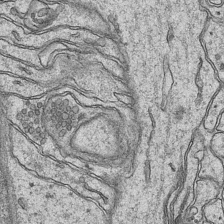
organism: Mouse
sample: CA1 Hippocampus